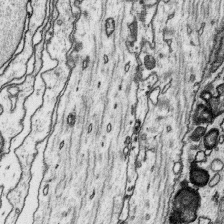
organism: Platynereis dumerilii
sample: Parapodia